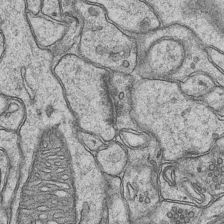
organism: Mouse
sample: CA1 Hippocampus